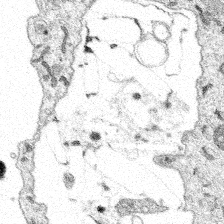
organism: Spongilla lacustris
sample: Multiple